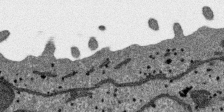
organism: Human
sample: Lung epithelial cells, uninfected (mock) control